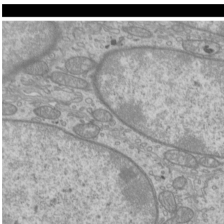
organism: Mouse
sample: Cilia; mouse epididymis